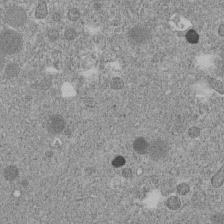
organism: C. elegans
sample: C. elegans embryo early stage